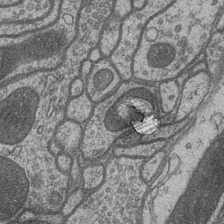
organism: Drosophila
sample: Optic medulla